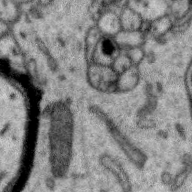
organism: Zebra finch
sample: Brain